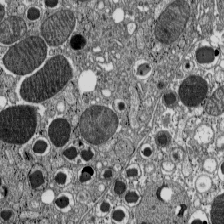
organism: C57BL Mouse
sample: Pancreatic islet